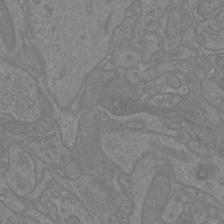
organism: Mouse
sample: Cortical neurons